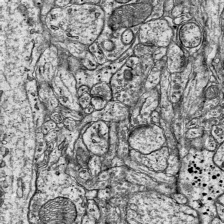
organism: Mouse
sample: Visual Cortex